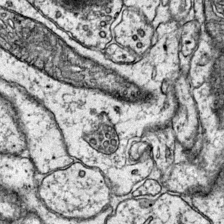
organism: Mouse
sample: Primary visual cortex